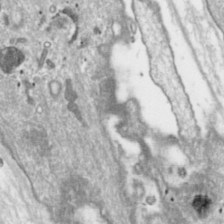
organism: Toxoplasma gondii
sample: Parasites in a vacuole inside a host cell